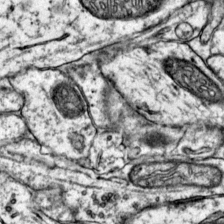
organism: Mouse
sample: Primary visual cortex